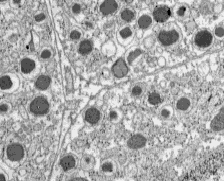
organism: C57BL Mouse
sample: Pancreatic islet